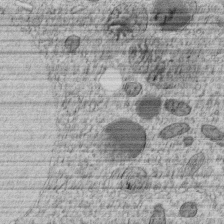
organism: C. elegans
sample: C. elegans embryo early stage